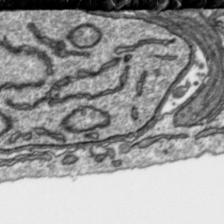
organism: Toxoplasma gondii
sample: Parasites in a vacuole inside a host cell